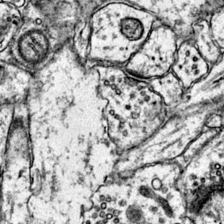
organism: Mouse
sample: Primary visual cortex